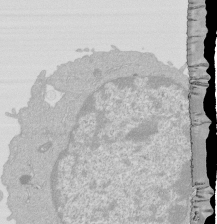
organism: Mouse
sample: Activated Pmel transgenic CD8+ T Cells